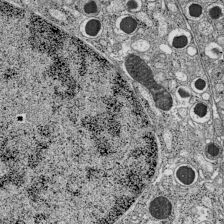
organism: C57BL Mouse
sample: Pancreatic islet